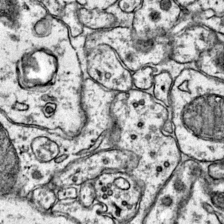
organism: Mouse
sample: Primary visual cortex